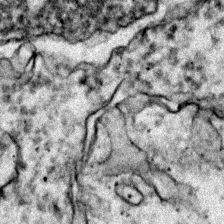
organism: Zebrafish